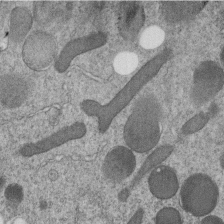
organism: C. elegans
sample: C. elegans embryo early stage